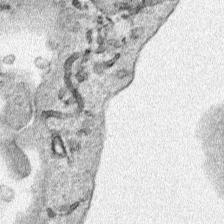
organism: Human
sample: Mitochondria in HCT116 cells